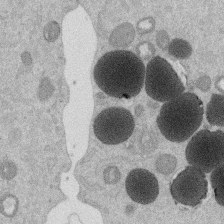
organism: Mouse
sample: Dividing mouse embryo 1 cell stage